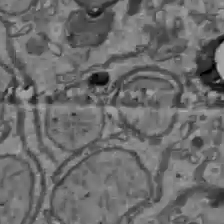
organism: C57BL Mouse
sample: Liver